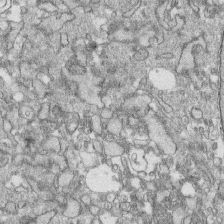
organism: Human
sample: CRL-1474